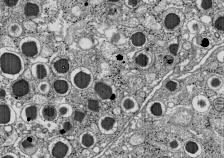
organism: C57BL Mouse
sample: Pancreatic islet